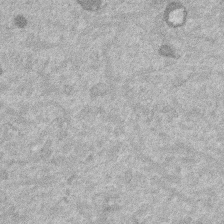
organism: Mouse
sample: Dividing mouse embryo 1 cell stage